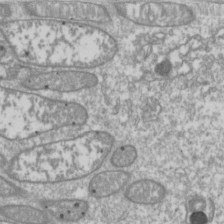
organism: Drosophila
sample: Cell division; meiosis; drosophila spermatocytes